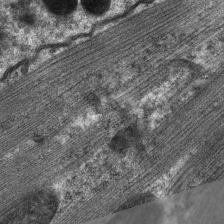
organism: C. elegans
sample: Pharynx